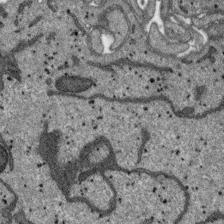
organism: Human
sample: Lung epithelial cells, uninfected (mock) control